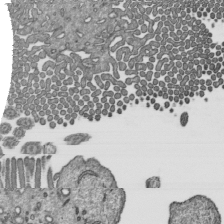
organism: Mouse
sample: Mouse epididymis efferent ductule cilia